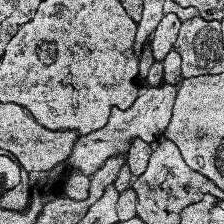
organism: Human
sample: Temporal Lobe